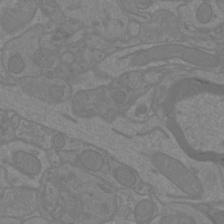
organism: Mouse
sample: Cortical neurons